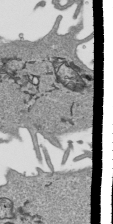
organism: Human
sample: Mitochondria in HCT116 cells